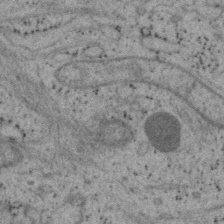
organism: Human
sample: HeLa cells